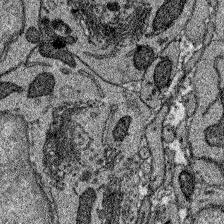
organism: Zebrafish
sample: Larval olfactory bulb